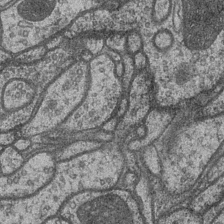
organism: Drosophila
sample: Optic medulla